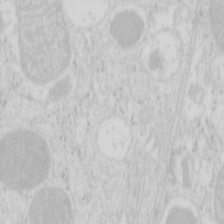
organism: Mouse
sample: Pancreas